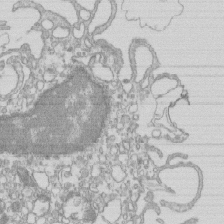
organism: Mouse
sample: Macrophages